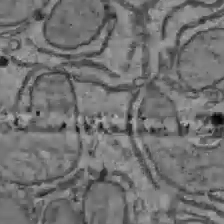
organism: C57BL Mouse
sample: Liver